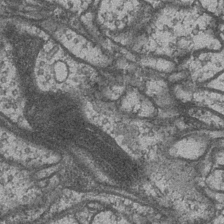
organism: Drosophila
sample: Optic medulla